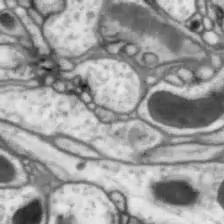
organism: Drosophila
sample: Optic lobe